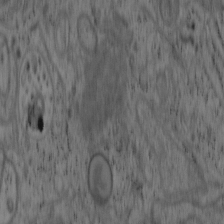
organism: Human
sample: HeLa cells